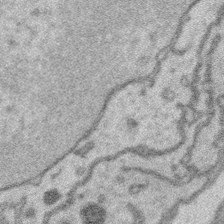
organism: Platynereis dumerilii